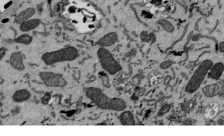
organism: Mouse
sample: ED-1 cell nuclei; centrioles